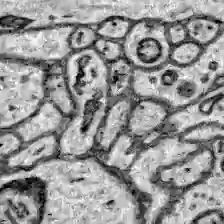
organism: Zebrafish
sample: Brain